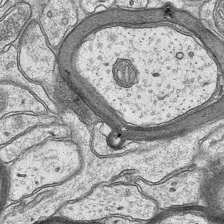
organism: Mouse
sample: CA1 Hippocampus